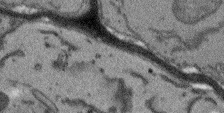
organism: Arabidopsis thaliana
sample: Root tip